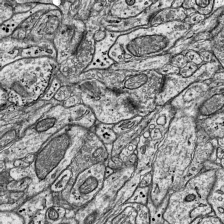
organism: Mouse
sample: Visual Cortex